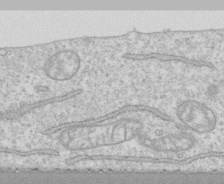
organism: Human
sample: CRL-1474